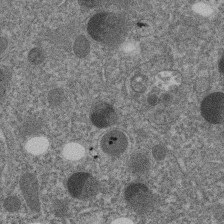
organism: C. elegans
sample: C. elegans embryo early stage